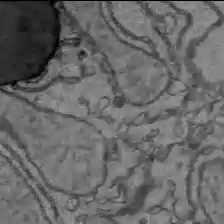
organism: C57BL Mouse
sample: Liver